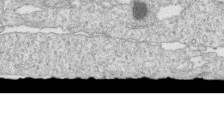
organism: Human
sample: HeLa cell HIV synapse